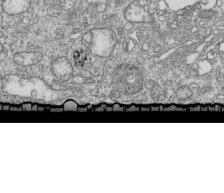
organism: Human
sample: HeLa cell HIV synapse